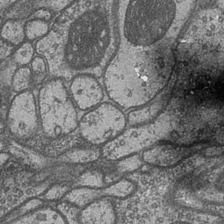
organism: Drosophila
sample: Optic medulla